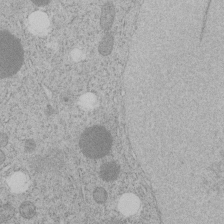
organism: C. elegans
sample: C. elegans embryo early stage